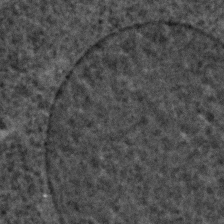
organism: C. elegans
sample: C. elegans embryo